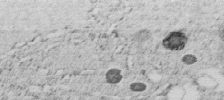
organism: C. elegans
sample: C. elegans embryo early stage